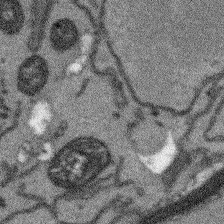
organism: Arabidopsis thaliana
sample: Root tip